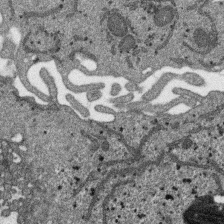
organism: Human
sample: Lung epithelial cells infected with SARS-CoV-2